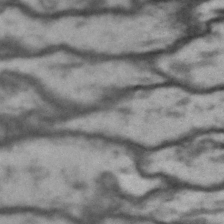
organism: Drosophila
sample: Brain